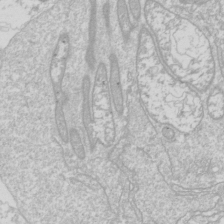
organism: Drosophila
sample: Cell division; meiosis; drosophila spermatocytes